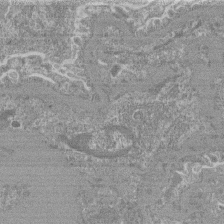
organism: Mouse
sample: Glomerulus